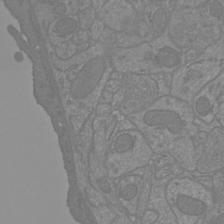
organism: Mouse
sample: Cortical neurons